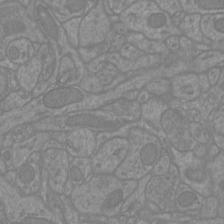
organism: Mouse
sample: Cortical neurons